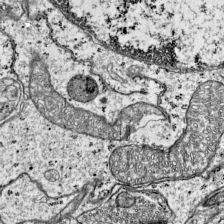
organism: Mouse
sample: Visual Cortex